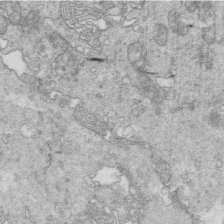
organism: Mouse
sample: Multiciliated cells